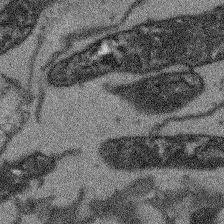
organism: Arabidopsis thaliana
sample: Root tip